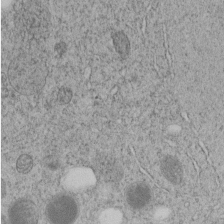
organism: C. elegans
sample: C. elegans embryo early stage